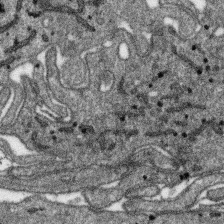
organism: Human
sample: Lung epithelial cells infected with SARS-CoV-2